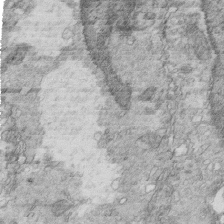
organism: Mouse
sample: Multiciliated cells